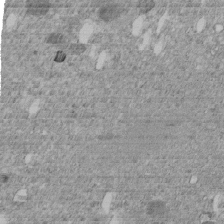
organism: C. elegans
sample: C. elegans embryo early stage